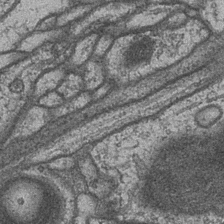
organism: Drosophila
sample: Optic medulla